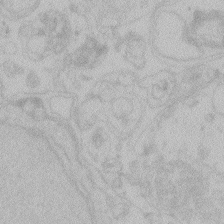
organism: Zebrafish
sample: Macrophage infected with Toxoplasma gondii